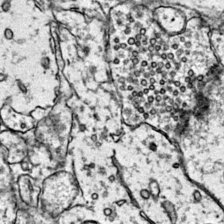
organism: Mouse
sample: Primary visual cortex